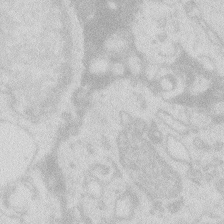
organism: Zebrafish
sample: Macrophage